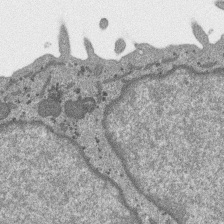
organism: Human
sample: Lung epithelial cells infected with SARS-CoV-2